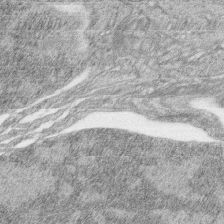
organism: Zebrafish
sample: synaptic ribbons in rod cells and cone cells